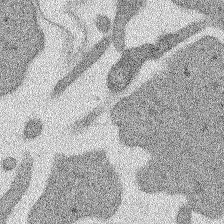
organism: Human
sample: HeLa cells